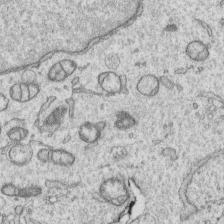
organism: Human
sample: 1205lu cells